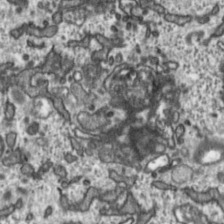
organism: Toxoplasma gondii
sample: Parasites in a vacuole inside a host cell